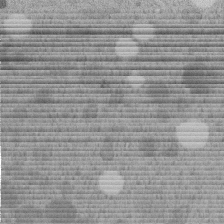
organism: C. elegans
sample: C. elegans embryo early stage